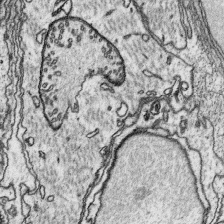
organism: Platynereis dumerilii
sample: Parapodia